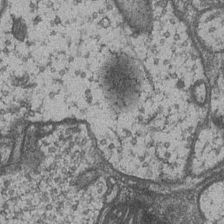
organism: Drosophila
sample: Optic medulla